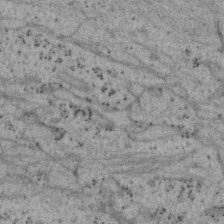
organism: Human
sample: HeLa cells